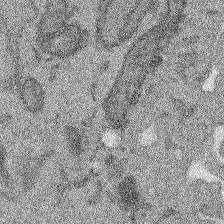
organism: Human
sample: HeLa cells